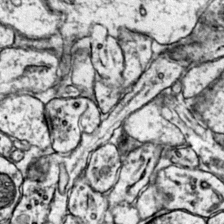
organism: Mouse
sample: Primary visual cortex